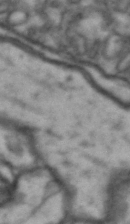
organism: Drosophila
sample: Brain